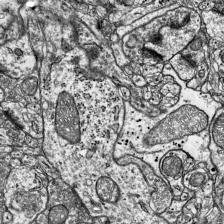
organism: Mouse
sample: Visual Cortex